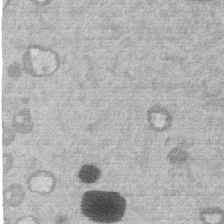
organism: Mouse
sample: Dividing mouse embryo 1 cell stage